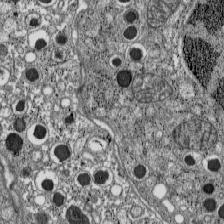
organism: C57BL Mouse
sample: Pancreatic islet